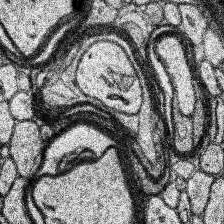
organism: Human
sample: Temporal Lobe